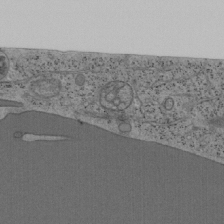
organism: Human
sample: HeLa cells